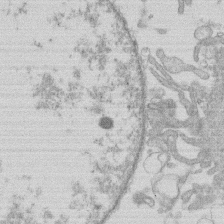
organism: Human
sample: Macrophage cells